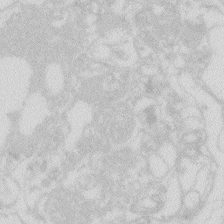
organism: Zebrafish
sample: Macrophage